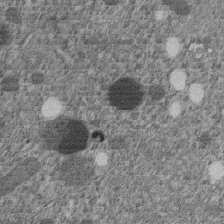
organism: C. elegans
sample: C. elegans embryo early stage